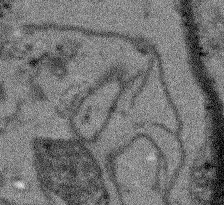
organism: Arabidopsis thaliana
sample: Root tip